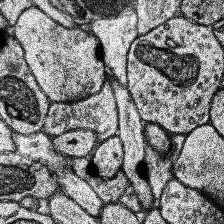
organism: Human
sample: Temporal Lobe